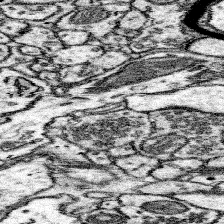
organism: Mouse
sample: Somatosensory cortex neuropil